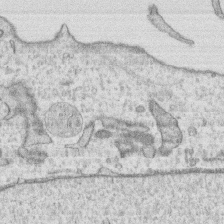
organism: Human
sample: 1205lu cells